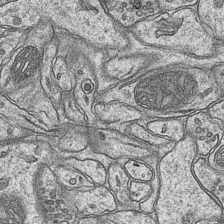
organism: Mouse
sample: CA1 Hippocampus